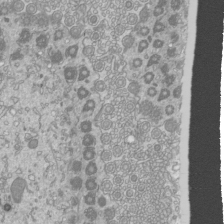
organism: Mouse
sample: Cilia; mouse epididymis